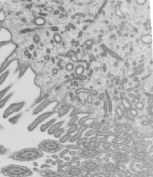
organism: Mouse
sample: Mouse epididymis efferent ductule cilia